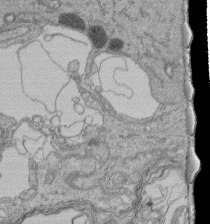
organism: Human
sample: Retinal organoid Rod and Cone cells